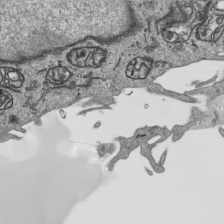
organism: Human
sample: Mitochondria in HCT116 cells